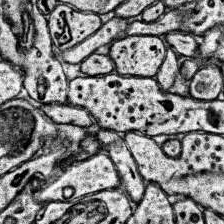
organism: Human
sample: Temporal Lobe